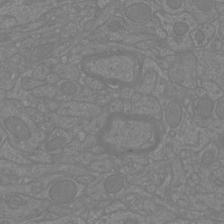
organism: Mouse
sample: Cortical neurons